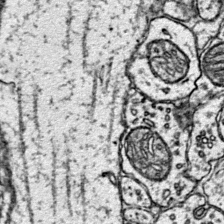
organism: Mouse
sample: Primary visual cortex